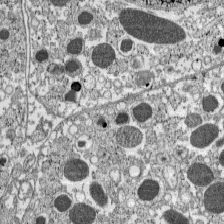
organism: C57BL Mouse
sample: Pancreatic islet